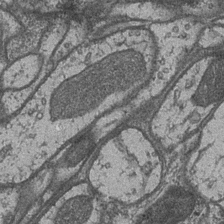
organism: Drosophila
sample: Optic medulla